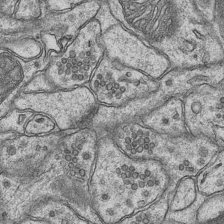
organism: Mouse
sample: CA1 Hippocampus